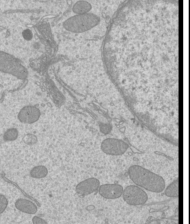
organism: Mouse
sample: Cilia; mouse epididymis